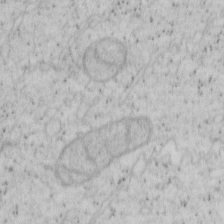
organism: Human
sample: HeLa cells